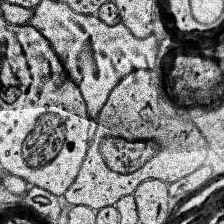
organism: Human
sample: Temporal Lobe